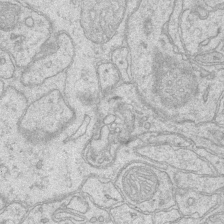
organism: Mouse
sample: CA1 Hippocampus